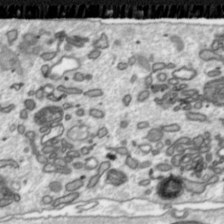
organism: Toxoplasma gondii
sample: Parasites in a vacuole inside a host cell